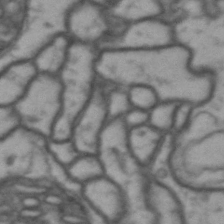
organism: Drosophila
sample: Brain